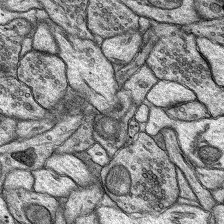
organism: Rat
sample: Hippocampus